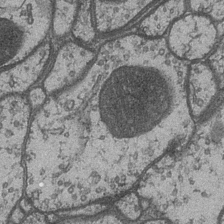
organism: Drosophila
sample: Optic medulla